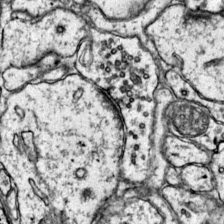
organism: Mouse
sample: Primary visual cortex